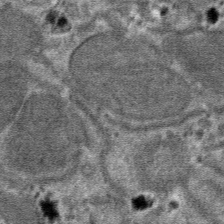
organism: Mouse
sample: Mouse hepatocytes